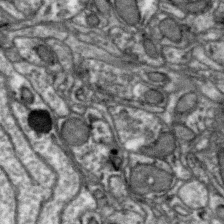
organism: Zebra finch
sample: Brain